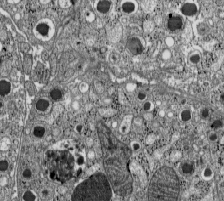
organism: C57BL Mouse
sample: Pancreatic islet